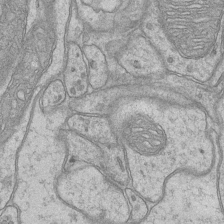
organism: Mouse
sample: CA1 Hippocampus